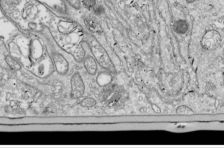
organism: Drosophila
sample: Cell division; meiosis; drosophila spermatocytes